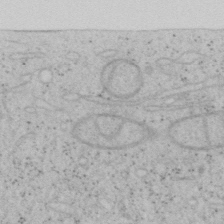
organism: Human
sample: HeLa cells